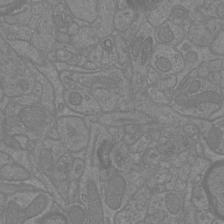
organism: Mouse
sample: Cortical neurons